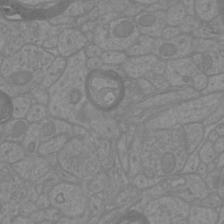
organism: Mouse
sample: Cortical neurons